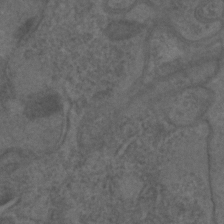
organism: C. elegans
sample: C. elegans embryo